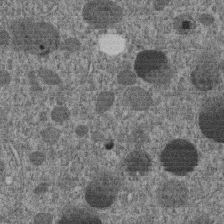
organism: C. elegans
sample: C. elegans embryo early stage